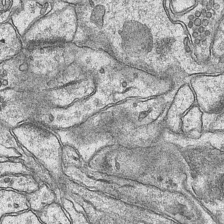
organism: Mouse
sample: CA1 Hippocampus